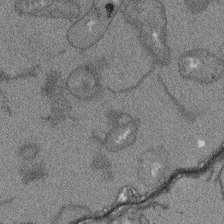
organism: Arabidopsis thaliana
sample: Root tip